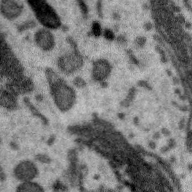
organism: Zebra finch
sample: Brain